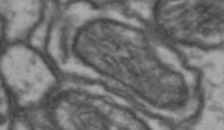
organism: Drosophila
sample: Brain